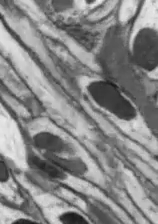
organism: Drosophila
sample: Optic lobe